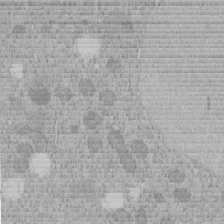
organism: C. elegans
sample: C. elegans embryo early stage